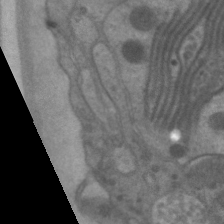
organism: C. elegans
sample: Pharynx